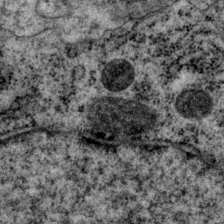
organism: P. pacificus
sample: Pharynx